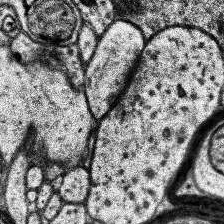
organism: Human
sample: Temporal Lobe